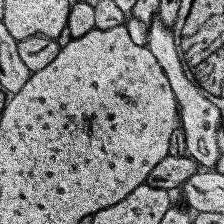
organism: Human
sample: Temporal Lobe